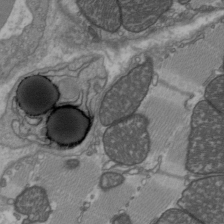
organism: C57BL Mouse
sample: Heart